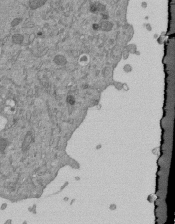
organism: Mouse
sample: ED-1 cell nuclei; centrioles